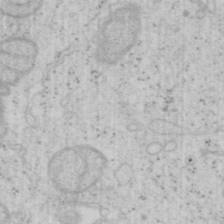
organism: Human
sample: HeLa cells